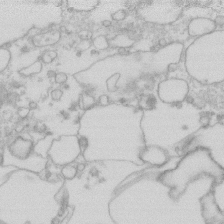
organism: Human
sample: Fibroblast cells